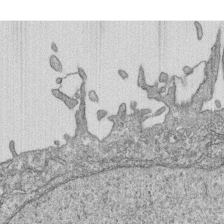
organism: Human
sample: HeLa cell HIV synapse